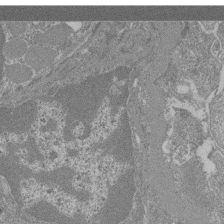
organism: Mouse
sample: Glomerulus